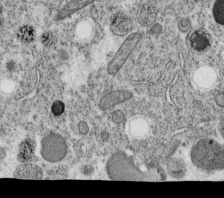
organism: C. elegans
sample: C. elegans oocyte; sperm cells